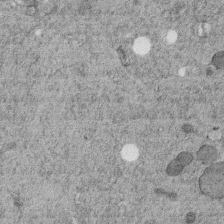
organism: C. elegans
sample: C. elegans embryo early stage